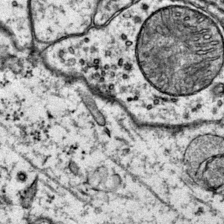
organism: Mouse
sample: Primary visual cortex